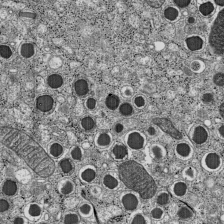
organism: C57BL Mouse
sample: Pancreatic islet